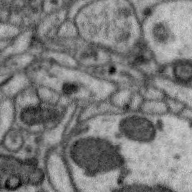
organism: Zebra finch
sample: Brain